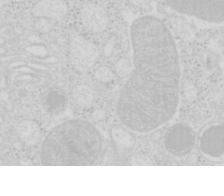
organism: Mouse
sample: Pancreas